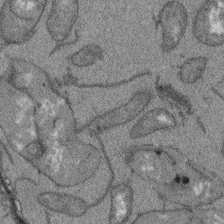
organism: Arabidopsis thaliana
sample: Root tip